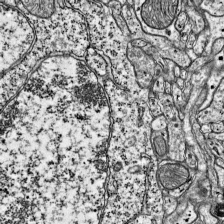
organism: Mouse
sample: Visual Cortex